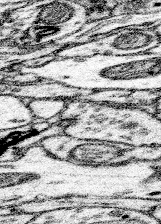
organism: Mouse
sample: Somatosensory cortex neuropil